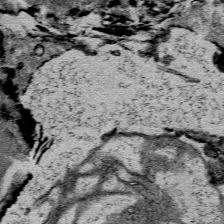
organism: Mouse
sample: Mouse Salivary gland